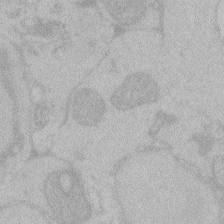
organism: Zebrafish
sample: Macrophage infected with Toxoplasma gondii